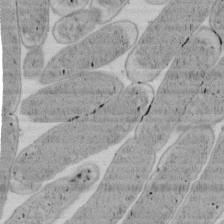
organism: E. coli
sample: Bacterial nucleoid